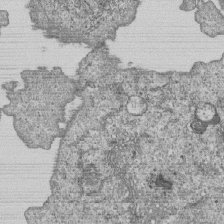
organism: Human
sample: MDA-MB-231 cells